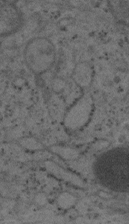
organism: Human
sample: HeLa cells